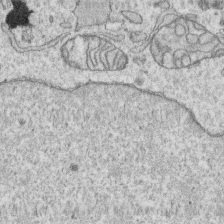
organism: Human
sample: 1205lu cells